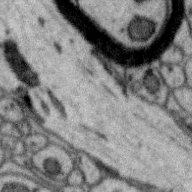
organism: Zebra finch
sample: Brain